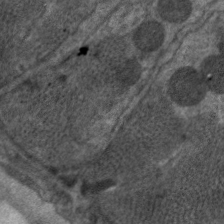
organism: C. elegans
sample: Pharynx